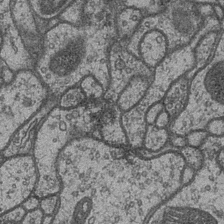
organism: Drosophila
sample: Optic medulla